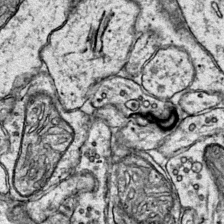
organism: Mouse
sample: Primary visual cortex